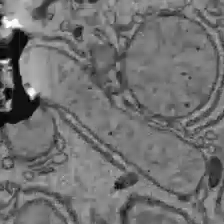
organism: C57BL Mouse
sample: Liver